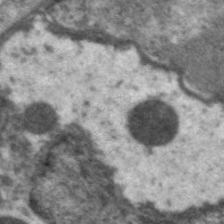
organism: C. elegans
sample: Pharynx